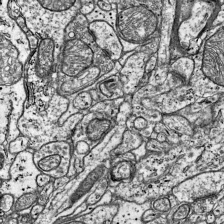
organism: Mouse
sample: Visual Cortex